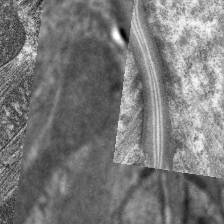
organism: C. elegans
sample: Pharynx